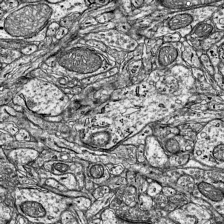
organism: Mouse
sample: Visual Cortex